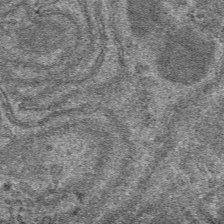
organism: Mouse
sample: Mouse hepatocytes